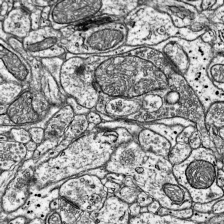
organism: Mouse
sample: Visual Cortex